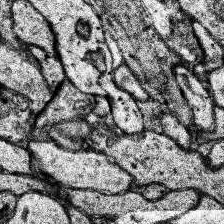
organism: Human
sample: Temporal Lobe